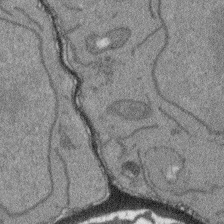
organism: Arabidopsis thaliana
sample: Root tip